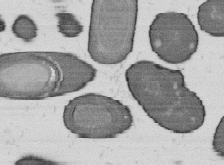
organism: B. subtilis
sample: Bacterial spore